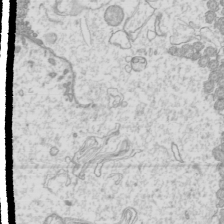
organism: Mouse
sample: Cilia; mouse epididymis